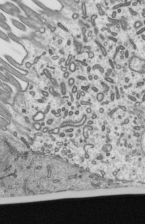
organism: Mouse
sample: Mouse epididymis efferent ductule cilia